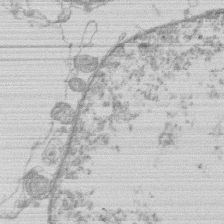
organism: Human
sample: Macrophage cells